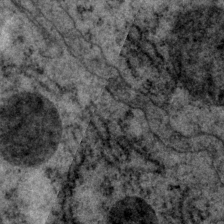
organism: P. pacificus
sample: Pharynx